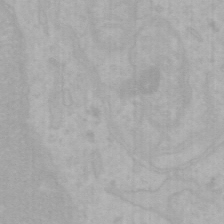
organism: Mouse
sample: Choroid plexus